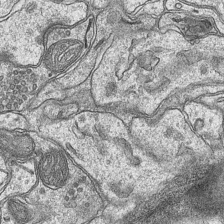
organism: Mouse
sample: CA1 Hippocampus